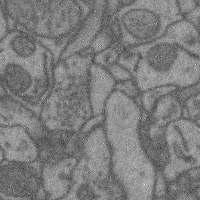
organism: Mouse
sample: Cerebral cortex